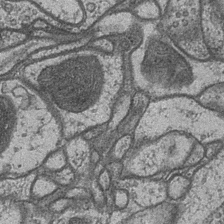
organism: Drosophila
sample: Optic medulla